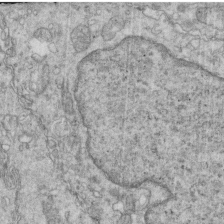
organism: Mouse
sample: Multiciliated cells